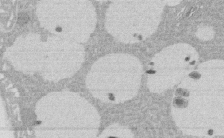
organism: Rat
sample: Salivary granule